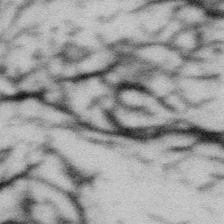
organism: Gemmata obscuriglobus